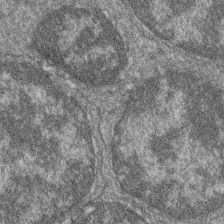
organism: Zebrafish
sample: Cilia; retinal pigment epithelium